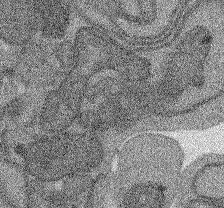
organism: Human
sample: HeLa cells